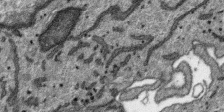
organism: Human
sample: Lung epithelial cells, uninfected (mock) control